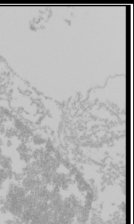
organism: Mouse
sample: Cancer cell death in ED-1 cells